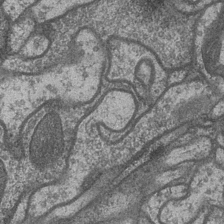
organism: Drosophila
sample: Optic medulla